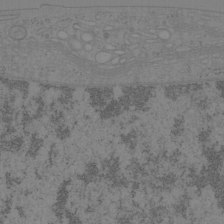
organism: Human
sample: HeLa cells